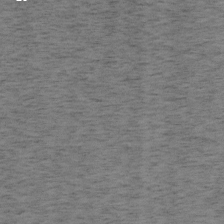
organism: Mouse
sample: OT-I killer T cells with ID8 ovarian cancer cells